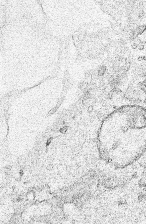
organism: Human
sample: Mitochondria in HCT116 cells